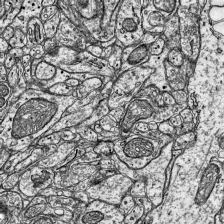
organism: Mouse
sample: Visual Cortex